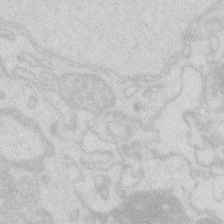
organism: Zebrafish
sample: Macrophage